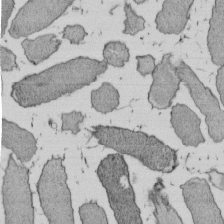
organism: E. coli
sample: Bacterial nucleoid